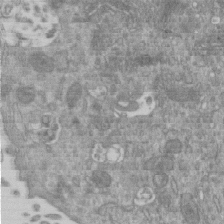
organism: Mouse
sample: ED-1 cell nuclei; centrioles